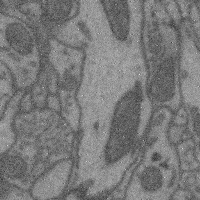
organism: Mouse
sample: Cerebral cortex